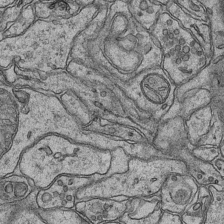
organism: Mouse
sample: CA1 Hippocampus